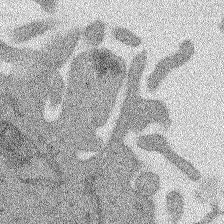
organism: Human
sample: HeLa cells